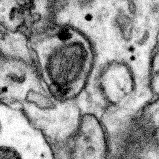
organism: Mouse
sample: Somatosensory cortex neuropil